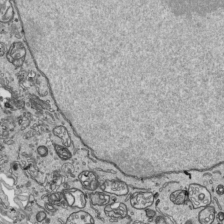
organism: Human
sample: Mitochondria in HCT116 cells